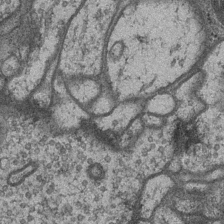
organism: Drosophila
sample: Optic medulla